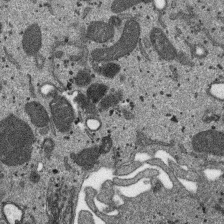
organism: Human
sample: Lung epithelial cells infected with SARS-CoV-2